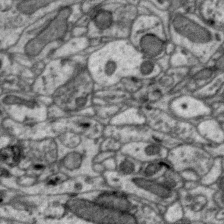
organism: Zebra finch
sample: Brain